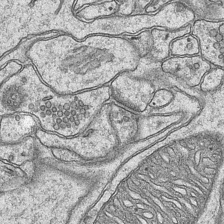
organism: Mouse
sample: CA1 Hippocampus